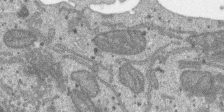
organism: Human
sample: Lung epithelial cells infected with SARS-CoV-2